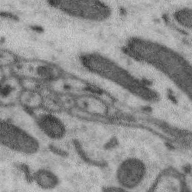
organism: Zebra finch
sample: Brain